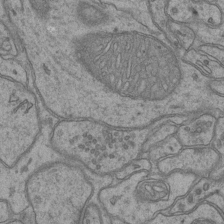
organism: Mouse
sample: CA1 Hippocampus